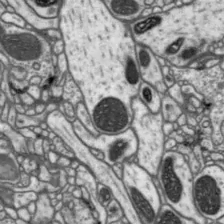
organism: Drosophila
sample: Protocerebral bridge